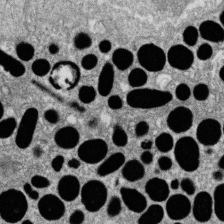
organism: Zebrafish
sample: Cilia; retinal pigment epithelium